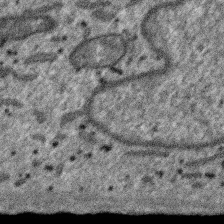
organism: Human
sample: Lung epithelial cells infected with SARS-CoV-2